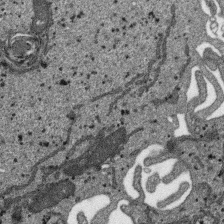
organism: Human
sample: Lung epithelial cells infected with SARS-CoV-2